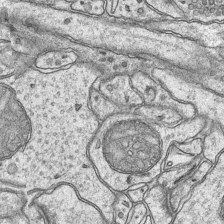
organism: Mouse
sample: CA1 Hippocampus